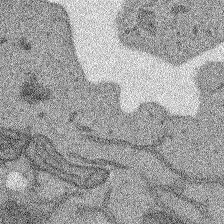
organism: Human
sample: HeLa cells